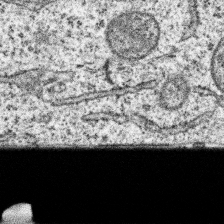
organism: Human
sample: HeLa cells